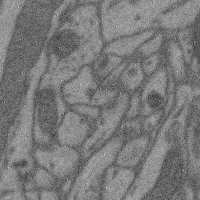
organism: Mouse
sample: Cerebral cortex